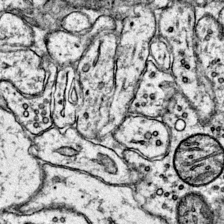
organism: Mouse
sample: Primary visual cortex